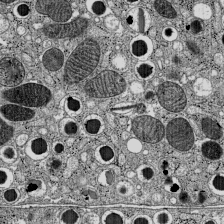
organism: C57BL Mouse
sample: Pancreatic islet